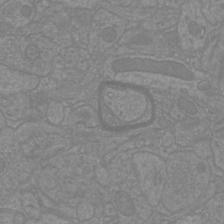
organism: Mouse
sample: Cortical neurons